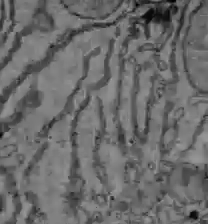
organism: C57BL Mouse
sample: Liver